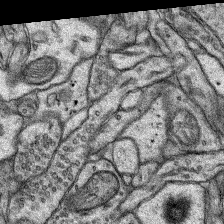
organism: Rat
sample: Hippocampus